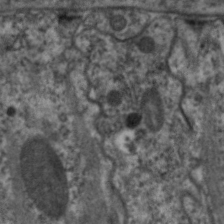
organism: C. elegans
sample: Pharynx